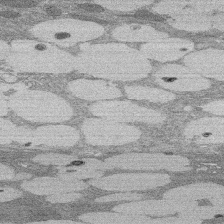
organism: Rat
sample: Salivary granule